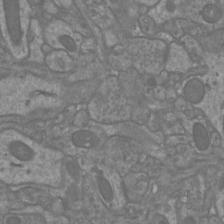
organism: Mouse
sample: Cortical neurons